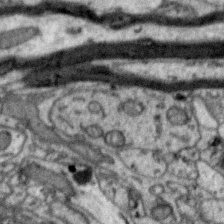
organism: Zebra finch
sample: Brain